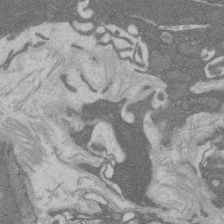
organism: Rat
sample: Salivary granule